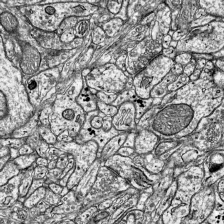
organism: Mouse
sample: Visual Cortex